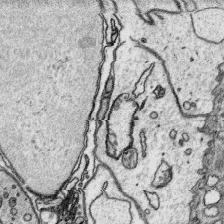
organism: Platynereis dumerilii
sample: Parapodia